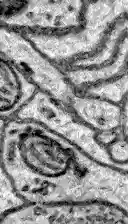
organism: Zebrafish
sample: Brain